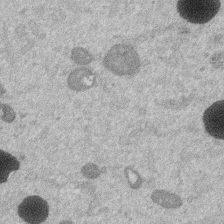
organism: Mouse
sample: Dividing mouse embryo 1 cell stage